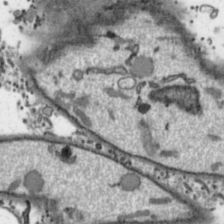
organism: Toxoplasma gondii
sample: Parasites in a vacuole inside a host cell